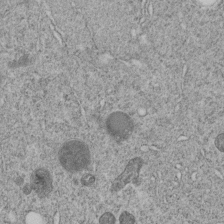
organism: C. elegans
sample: C. elegans embryo early stage